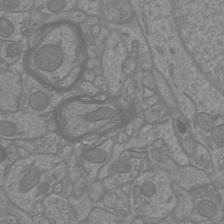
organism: Mouse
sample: Cortical neurons